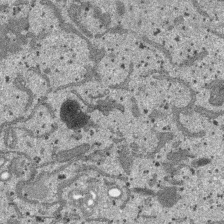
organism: Human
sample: Lung epithelial cells infected with SARS-CoV-2